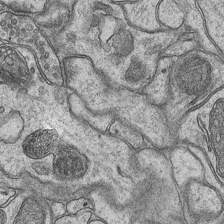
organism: Mouse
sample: CA1 Hippocampus